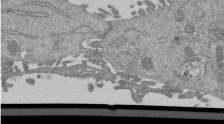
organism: Mouse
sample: ED-1 cell nuclei; centrioles